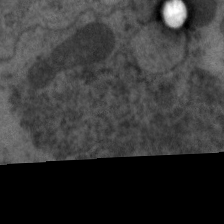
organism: C. elegans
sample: Pharynx